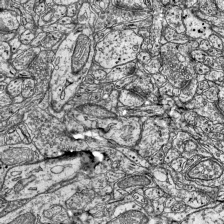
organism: Mouse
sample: Visual Cortex